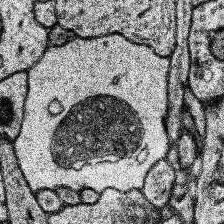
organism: Human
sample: Temporal Lobe